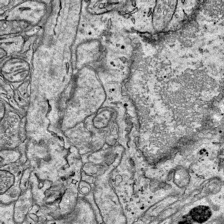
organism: Mouse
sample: Visual Cortex